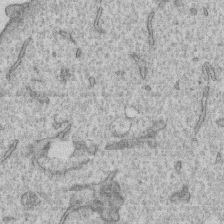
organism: Human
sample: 1205lu cells